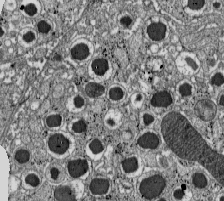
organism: C57BL Mouse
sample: Pancreatic islet